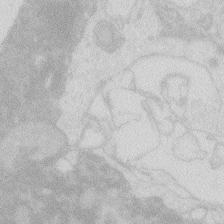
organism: Zebrafish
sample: Macrophage